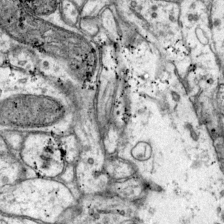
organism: Mouse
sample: Primary visual cortex